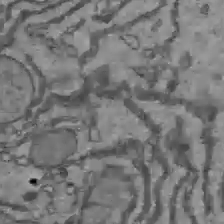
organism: C57BL Mouse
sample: Liver